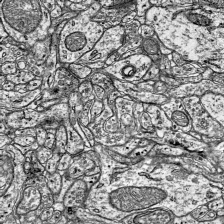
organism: Mouse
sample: Visual Cortex